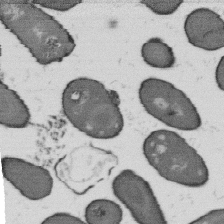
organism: B. subtilis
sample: Bacterial spore